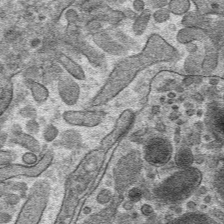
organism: Mouse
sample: Mouse hepatocytes